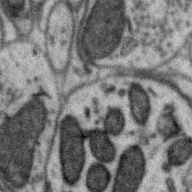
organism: Zebra finch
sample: Brain